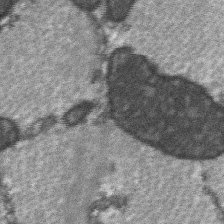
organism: C57BL Mouse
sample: Soleus